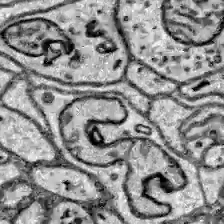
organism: Zebrafish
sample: Brain